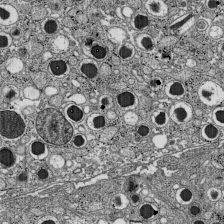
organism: C57BL Mouse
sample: Pancreatic islet